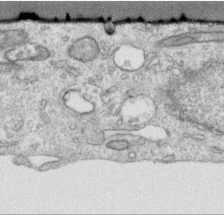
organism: Human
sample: Centriole in RPE cells